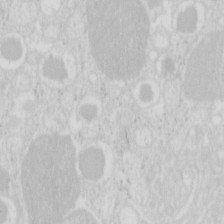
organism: Mouse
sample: Pancreas